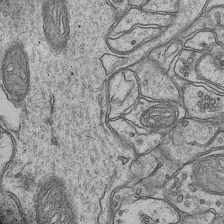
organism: Mouse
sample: CA1 Hippocampus